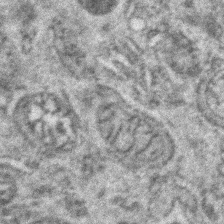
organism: Zebrafish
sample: Zebrafish embryo